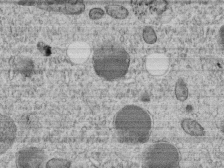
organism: C. elegans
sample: C. elegans embryo early stage